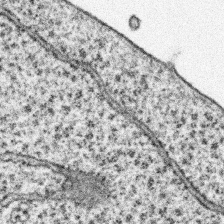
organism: Human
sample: HeLa cells